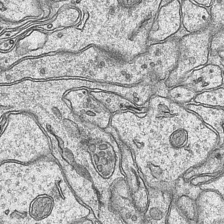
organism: Mouse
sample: CA1 Hippocampus